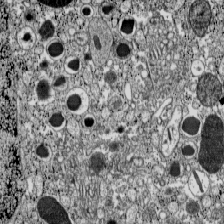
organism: C57BL Mouse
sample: Pancreatic islet